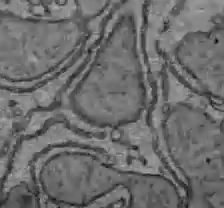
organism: C57BL Mouse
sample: Liver